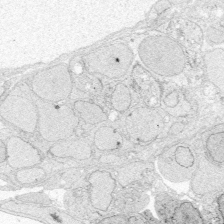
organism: Zebrafish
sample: Whole-Brain